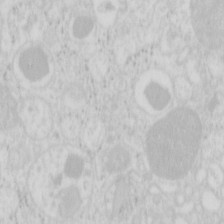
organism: Mouse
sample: Pancreas